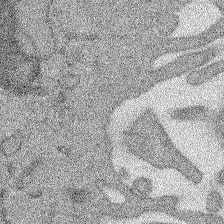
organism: Human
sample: HeLa cells